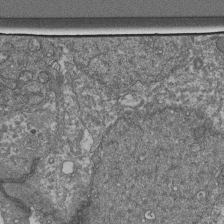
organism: Human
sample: Retinal organoid Rod and Cone cells